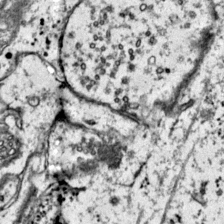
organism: Mouse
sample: Primary visual cortex